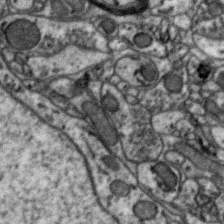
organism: Zebra finch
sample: Brain